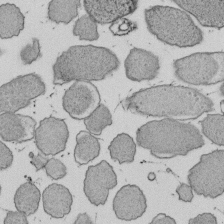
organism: E. coli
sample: Bacterial nucleoid